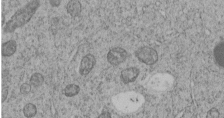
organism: C. elegans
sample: C. elegans embryo early stage